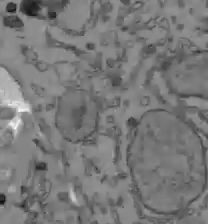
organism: C57BL Mouse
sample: Liver